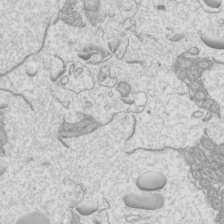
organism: Mouse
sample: Cilia; mouse epididymis